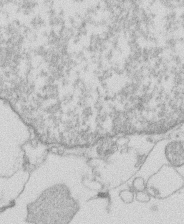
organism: Human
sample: Macrophage cells